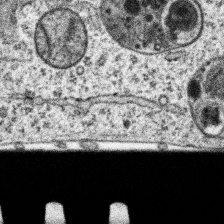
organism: Human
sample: HeLa cells